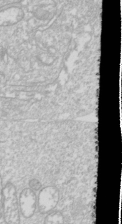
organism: Drosophila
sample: Cell division; meiosis; drosophila spermatocytes